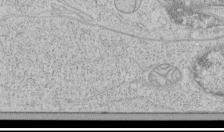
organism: Human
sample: Mitochondria in HCT116 cells